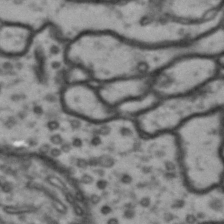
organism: Drosophila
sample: Brain